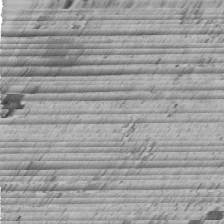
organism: C. elegans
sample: C. elegans embryo early stage